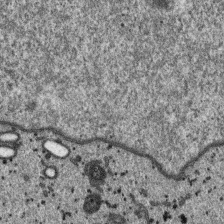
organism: Human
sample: Lung epithelial cells infected with SARS-CoV-2